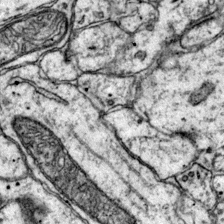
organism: Mouse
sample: Primary visual cortex